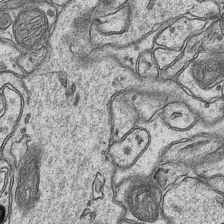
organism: Mouse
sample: CA1 Hippocampus